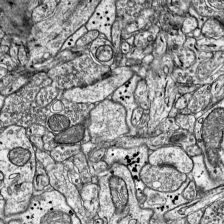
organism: Mouse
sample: Visual Cortex